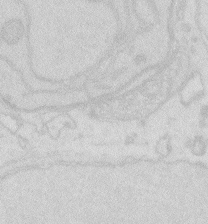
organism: Zebrafish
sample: Macrophage